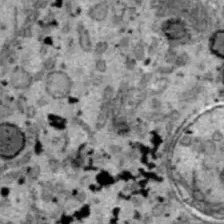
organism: Mouse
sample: Liver from an obese (ob/ob) mouse